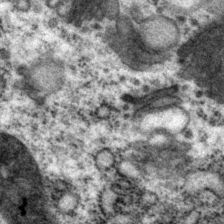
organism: P. pacificus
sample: Pharynx